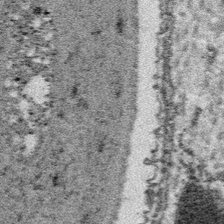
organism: Platynereis dumerilii